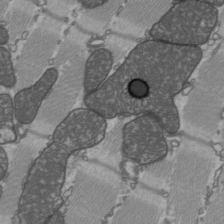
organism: C57BL Mouse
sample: Heart